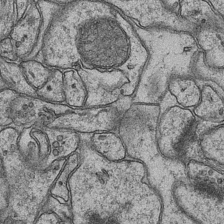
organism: Mouse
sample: CA1 Hippocampus